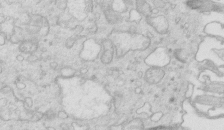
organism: Mouse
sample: Multiciliated cells